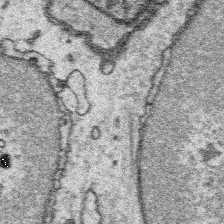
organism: Platynereis dumerilii